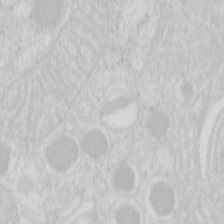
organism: Mouse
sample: Pancreas